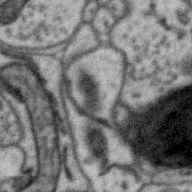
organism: Zebra finch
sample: Brain